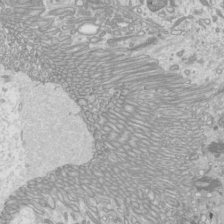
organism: Mouse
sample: Cilia; mouse epididymis